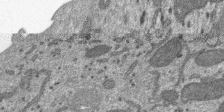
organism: Human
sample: Lung epithelial cells infected with SARS-CoV-2